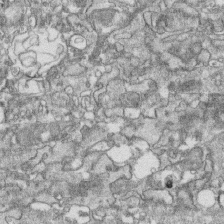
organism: Human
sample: CRL-1474